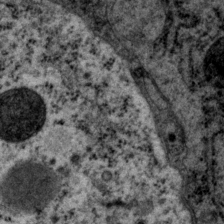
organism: P. pacificus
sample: Pharynx